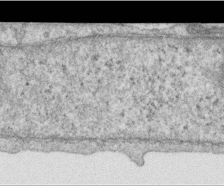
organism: Human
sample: Centriole in RPE cells